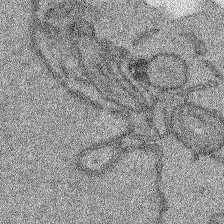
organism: Human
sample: HeLa cells